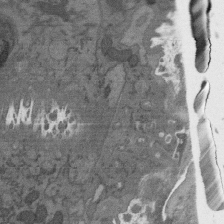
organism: C. elegans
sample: AFD neurons C. elegans